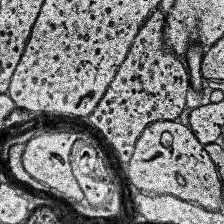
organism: Human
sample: Temporal Lobe